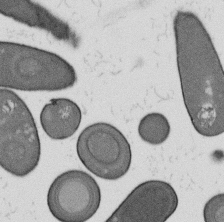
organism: B. subtilis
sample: Bacterial spore